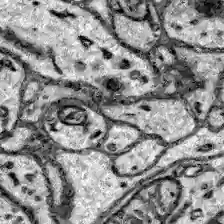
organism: Zebrafish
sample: Brain